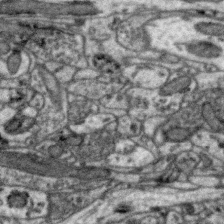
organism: Zebra finch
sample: Brain